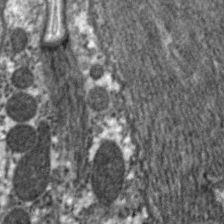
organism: C. elegans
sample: Pharynx